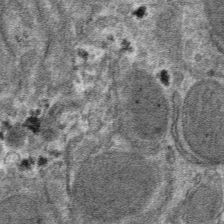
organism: Mouse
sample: Mouse hepatocytes